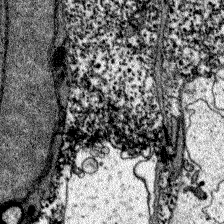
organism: Zebrafish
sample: Larval olfactory bulb